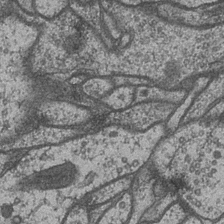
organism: Drosophila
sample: Optic medulla